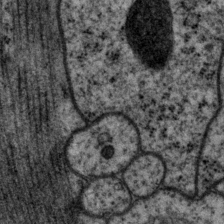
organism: P. pacificus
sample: Pharynx